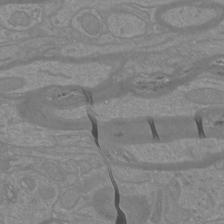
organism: Mouse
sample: Cortical neurons